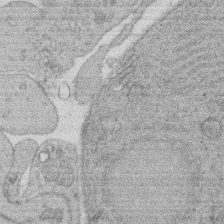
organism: Rat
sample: Salivary granule